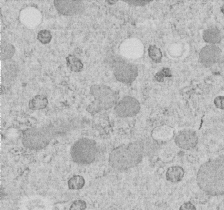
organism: C. elegans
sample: C. elegans embryo early stage